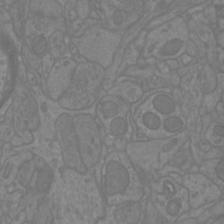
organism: Mouse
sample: Cortical neurons